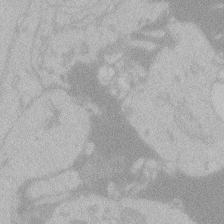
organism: Zebrafish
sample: Macrophage infected with Toxoplasma gondii